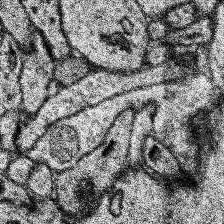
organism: Human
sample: Temporal Lobe